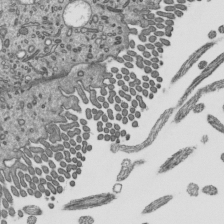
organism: Mouse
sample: Mouse epididymis efferent ductule cilia